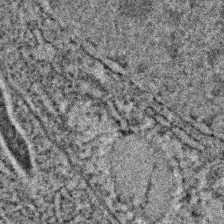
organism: C. elegans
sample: C. elegans embryo